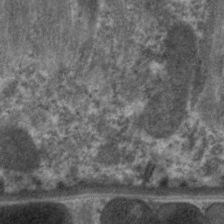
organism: C. elegans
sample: Pharynx